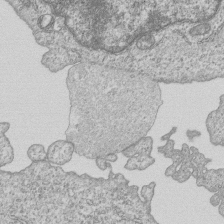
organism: Human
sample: MDA-MB-231 cells